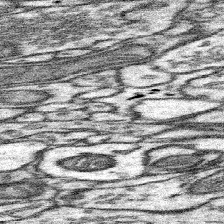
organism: Mouse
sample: Somatosensory cortex neuropil